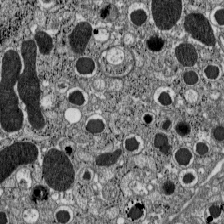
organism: C57BL Mouse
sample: Pancreatic islet